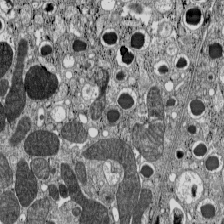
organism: C57BL Mouse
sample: Pancreatic islet